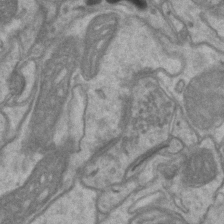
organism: Mouse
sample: CA1 Hippocampus